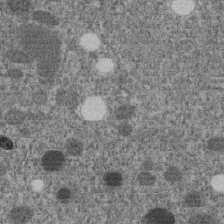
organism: C. elegans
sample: C. elegans embryo early stage